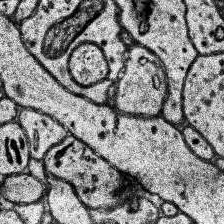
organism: Human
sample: Temporal Lobe